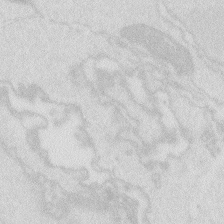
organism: Zebrafish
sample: Macrophage